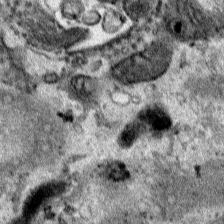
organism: Human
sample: Mitochondria in HCT116 cells